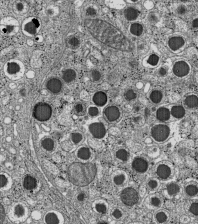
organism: C57BL Mouse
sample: Pancreatic islet